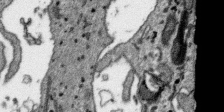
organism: Human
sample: Lung epithelial cells, uninfected (mock) control